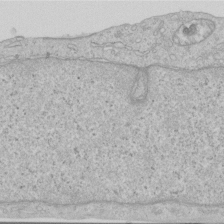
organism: Human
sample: Centriole in RPE cells